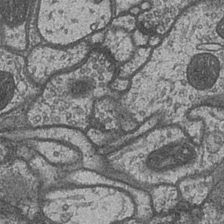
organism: Drosophila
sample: Optic medulla